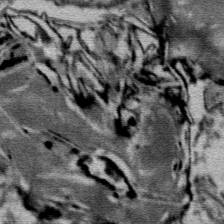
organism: Mouse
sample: Mouse Salivary gland